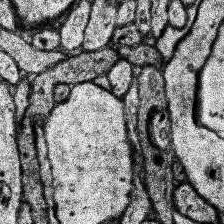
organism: Human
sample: Temporal Lobe